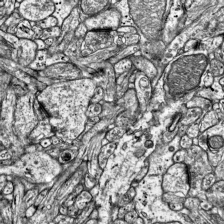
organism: Mouse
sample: Visual Cortex